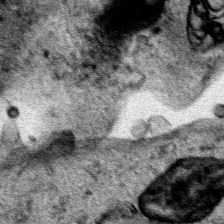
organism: Human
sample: Mitochondria in HCT116 cells